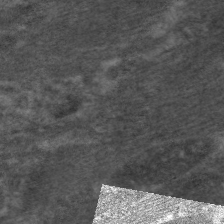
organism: C. elegans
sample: Pharynx